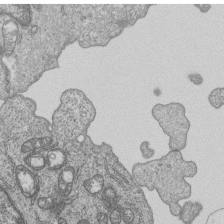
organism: Human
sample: MDA-MB-231 cells